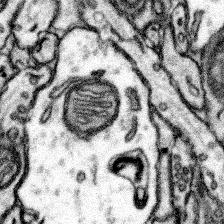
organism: Mouse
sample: Somatosensory cortex neuropil